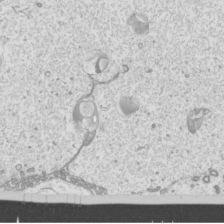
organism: Mouse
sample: Cilia; mouse epididymis